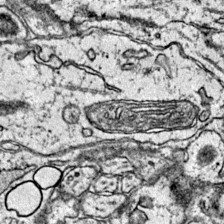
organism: Mouse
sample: Primary visual cortex